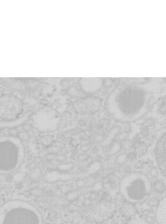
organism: Mouse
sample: Pancreas